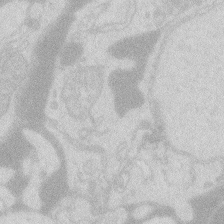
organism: Zebrafish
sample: Macrophage